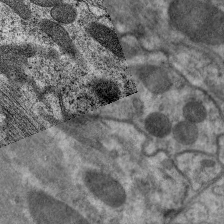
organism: C. elegans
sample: Pharynx